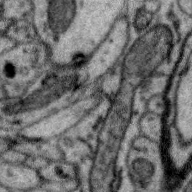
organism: Zebra finch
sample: Brain